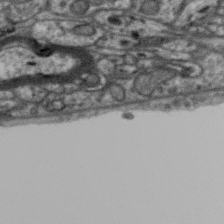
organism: Zebra finch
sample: Brain